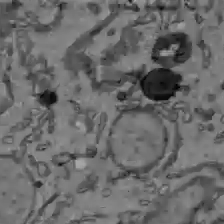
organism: C57BL Mouse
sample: Liver